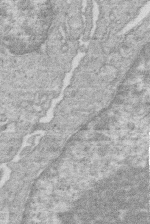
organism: Human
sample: Macrophage cells